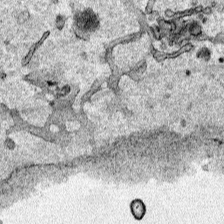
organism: Human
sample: Mitochondria in HCT116 cells